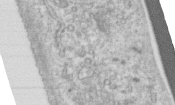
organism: Human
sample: Centriole in RPE cells